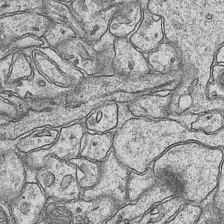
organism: Mouse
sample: CA1 Hippocampus